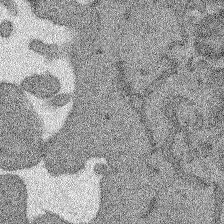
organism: Human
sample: HeLa cells